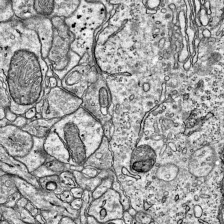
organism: Mouse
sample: Visual Cortex